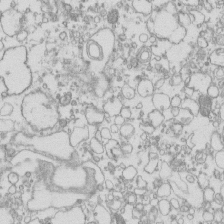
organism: Mouse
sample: Macrophages